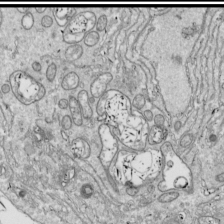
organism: Drosophila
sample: Cell division; meiosis; drosophila spermatocytes